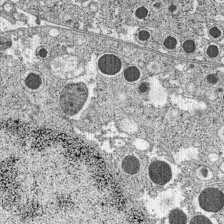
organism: C57BL Mouse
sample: Pancreatic islet